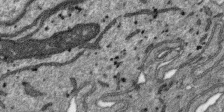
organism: Human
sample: Lung epithelial cells, uninfected (mock) control